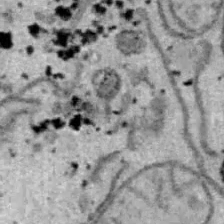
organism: Mouse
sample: Liver from an obese (ob/ob) mouse